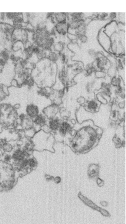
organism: Human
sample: HeLa cell HIV synapse